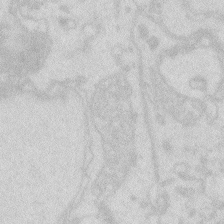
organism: Zebrafish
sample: Macrophage